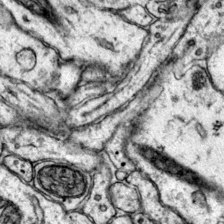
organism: Mouse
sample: Primary visual cortex